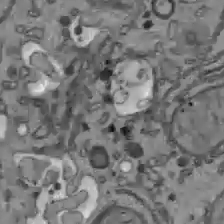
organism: C57BL Mouse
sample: Liver